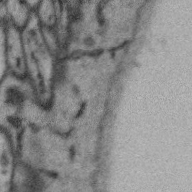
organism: Zebra finch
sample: Brain